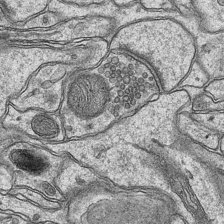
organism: Mouse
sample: CA1 Hippocampus